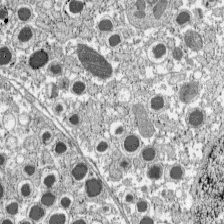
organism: C57BL Mouse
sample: Pancreatic islet